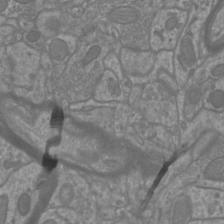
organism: Mouse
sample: Cortical neurons